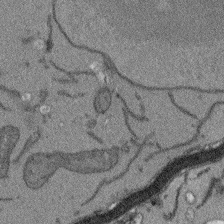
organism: Arabidopsis thaliana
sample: Root tip